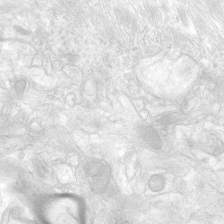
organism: Human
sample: Neocortex